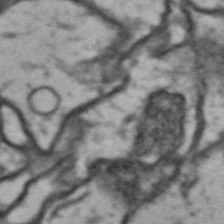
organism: Drosophila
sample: Brain